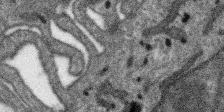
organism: Human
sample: Lung epithelial cells infected with SARS-CoV-2